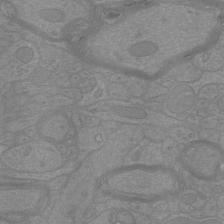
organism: Mouse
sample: Cortical neurons